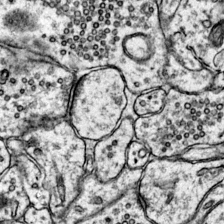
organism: Mouse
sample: Primary visual cortex